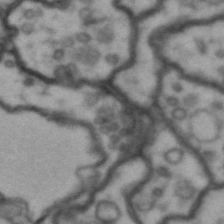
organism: Drosophila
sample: Brain